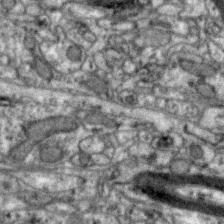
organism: Zebra finch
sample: Brain